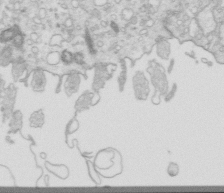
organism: Mouse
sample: Multiciliated cells